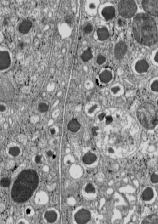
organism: C57BL Mouse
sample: Pancreatic islet